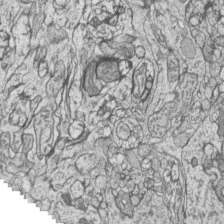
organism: Zebrafish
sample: synaptic ribbons in rod cells and cone cells